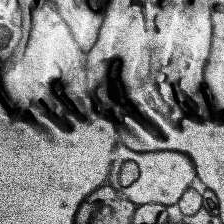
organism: Human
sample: Temporal Lobe